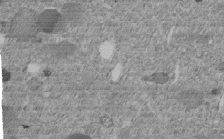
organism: C. elegans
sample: C. elegans embryo early stage